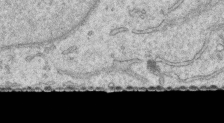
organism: Human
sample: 1205lu cells